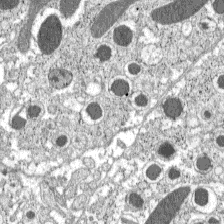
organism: C57BL Mouse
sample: Pancreatic islet